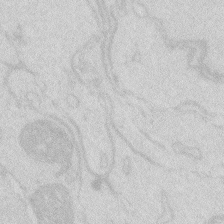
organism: Zebrafish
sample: Macrophage